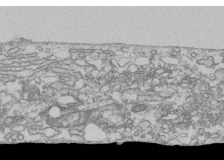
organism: Human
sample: Fibroblast cells